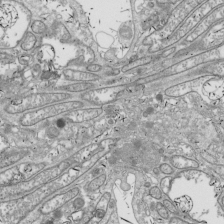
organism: Drosophila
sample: Cell division; meiosis; drosophila spermatocytes